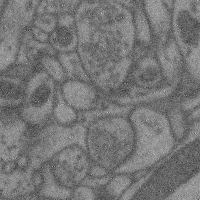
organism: Mouse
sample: Cerebral cortex